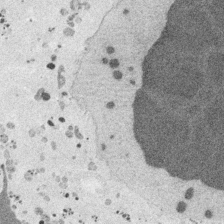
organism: Embia sp.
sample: Silk gland